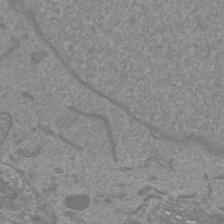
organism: Mouse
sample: Cortical neurons